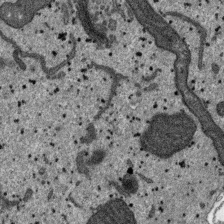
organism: Human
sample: Lung epithelial cells, uninfected (mock) control